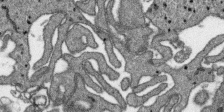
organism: Human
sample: Lung epithelial cells, uninfected (mock) control